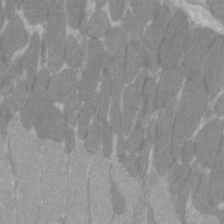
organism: C57BL Mouse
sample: Tibialis anterior muscle cell